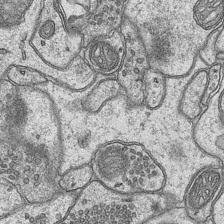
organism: Mouse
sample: CA1 Hippocampus